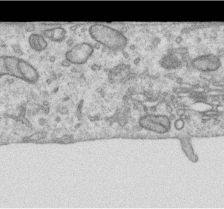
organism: Human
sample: Centriole in RPE cells